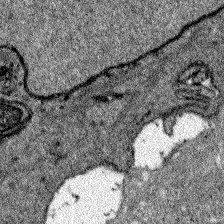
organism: Zebrafish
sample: Larval olfactory bulb